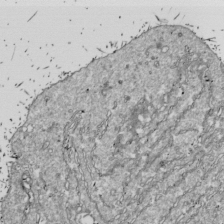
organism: Drosophila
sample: Cell division; meiosis; drosophila spermatocytes